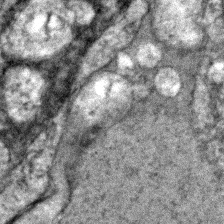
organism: Zebrafish